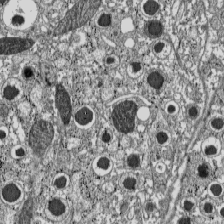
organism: C57BL Mouse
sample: Pancreatic islet